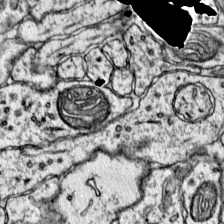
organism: Mouse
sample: Primary visual cortex